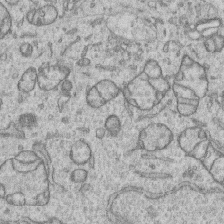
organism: Human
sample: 1205lu cells